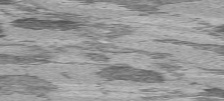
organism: C57BL Mouse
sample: Heart